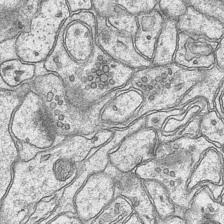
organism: Mouse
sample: CA1 Hippocampus